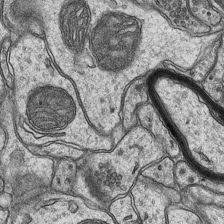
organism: Mouse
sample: CA1 Hippocampus